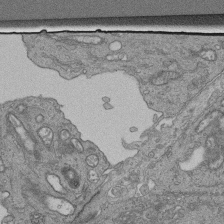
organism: Human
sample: Retinal organoid Rod and Cone cells